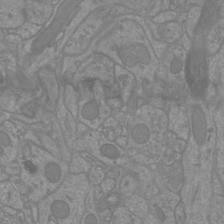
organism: Mouse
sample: Cortical neurons